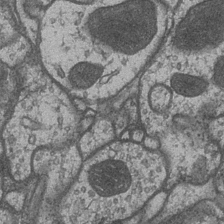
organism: Drosophila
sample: Optic medulla